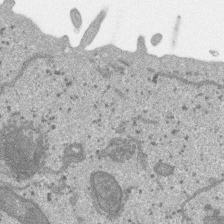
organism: Human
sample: Lung epithelial cells infected with SARS-CoV-2